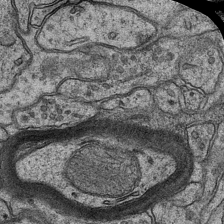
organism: Mouse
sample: CA1 Hippocampus